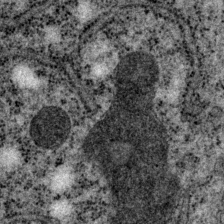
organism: P. pacificus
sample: Pharynx